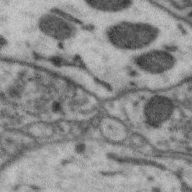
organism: Zebra finch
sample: Brain